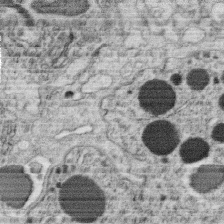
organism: C. elegans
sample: C. elegans oocyte; sperm cells